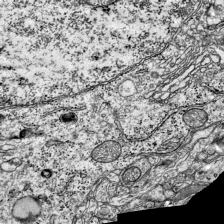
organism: Mouse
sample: Visual Cortex